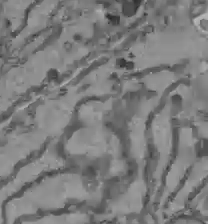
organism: C57BL Mouse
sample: Liver